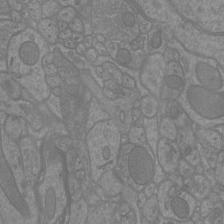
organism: Mouse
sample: Cortical neurons